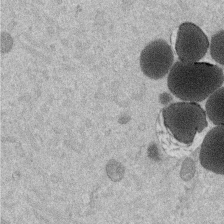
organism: Mouse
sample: Dividing mouse embryo 1 cell stage